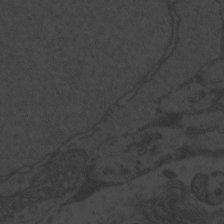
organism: Zebrafish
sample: Macrophage infected with Toxoplasma gondii